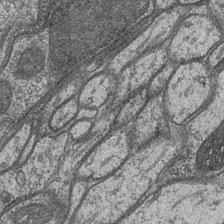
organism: Drosophila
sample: Optic medulla